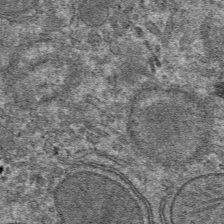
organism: Mouse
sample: Mouse hepatocytes